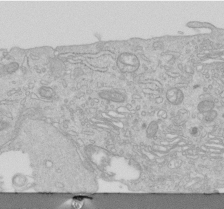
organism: Human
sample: Centriole in RPE cells